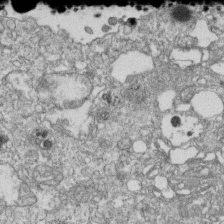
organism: Human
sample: HeLa cell HIV synapse